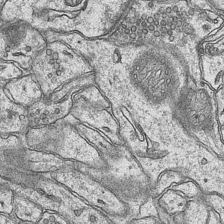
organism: Mouse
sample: CA1 Hippocampus